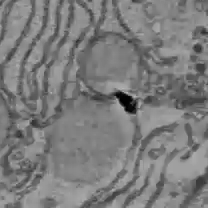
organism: C57BL Mouse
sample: Liver